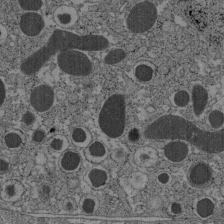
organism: C57BL Mouse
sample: Pancreatic islet